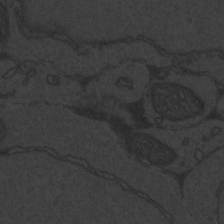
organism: Zebrafish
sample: Macrophage infected with Toxoplasma gondii